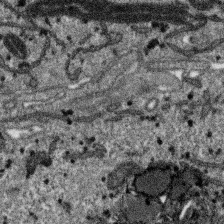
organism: Human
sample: Lung epithelial cells infected with SARS-CoV-2